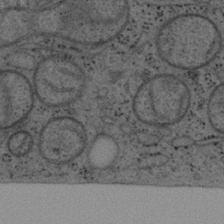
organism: Human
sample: HeLa cells